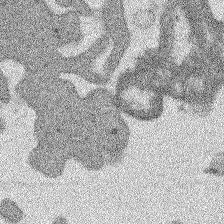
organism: Human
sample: HeLa cells